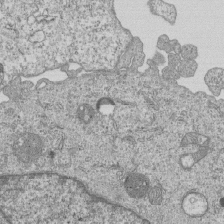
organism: Human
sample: MDA-MB-231 cells